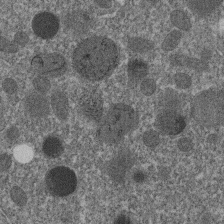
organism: C. elegans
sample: C. elegans embryo early stage